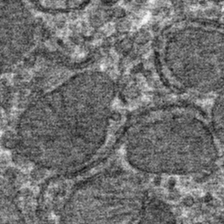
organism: Mouse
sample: Mouse hepatocytes